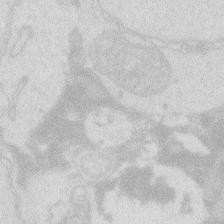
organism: Zebrafish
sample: Macrophage